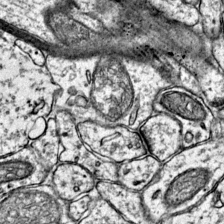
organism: Mouse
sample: Primary visual cortex